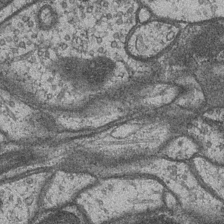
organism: Drosophila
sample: Optic medulla